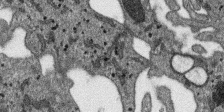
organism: Human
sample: Lung epithelial cells infected with SARS-CoV-2